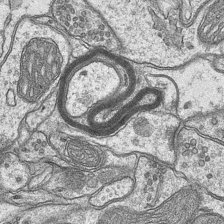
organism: Mouse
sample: CA1 Hippocampus